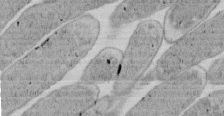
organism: E. coli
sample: Bacterial nucleoid